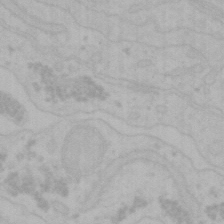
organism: Mouse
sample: Choroid plexus